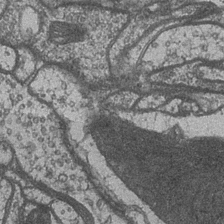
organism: Drosophila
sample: Optic medulla